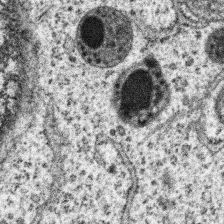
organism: Human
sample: HeLa cells